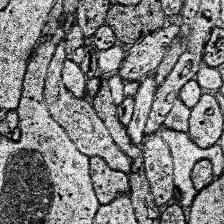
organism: Human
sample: Temporal Lobe